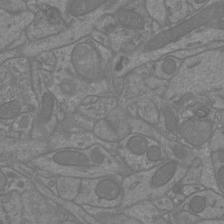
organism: Mouse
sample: Cortical neurons